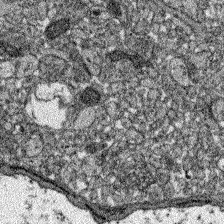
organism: Zebrafish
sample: Larval olfactory bulb